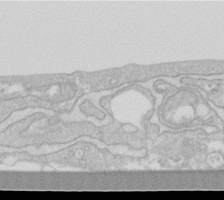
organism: Human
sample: Fibroblast cells